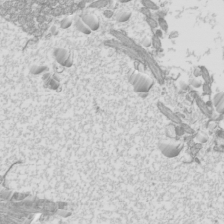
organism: Mouse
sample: Cilia; mouse epididymis